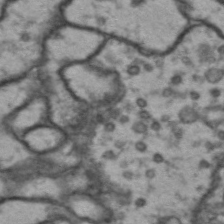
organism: Drosophila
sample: Brain